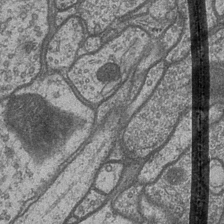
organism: Drosophila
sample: Optic medulla